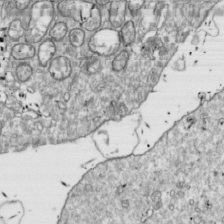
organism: Drosophila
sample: Cell division; meiosis; drosophila spermatocytes